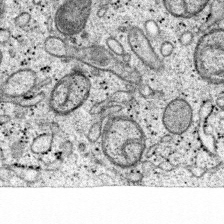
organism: Human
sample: HeLa cells